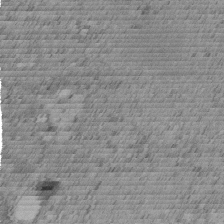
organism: C. elegans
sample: C. elegans embryo early stage